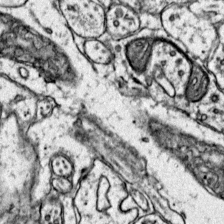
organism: Mouse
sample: Primary visual cortex